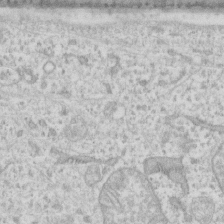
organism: Human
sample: Fibroblast cells